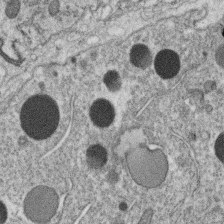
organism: C. elegans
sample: C. elegans oocyte; sperm cells